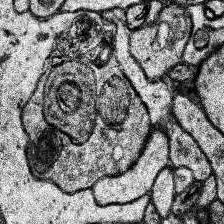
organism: Human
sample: Temporal Lobe